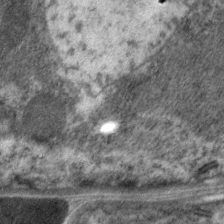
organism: C. elegans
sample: Pharynx